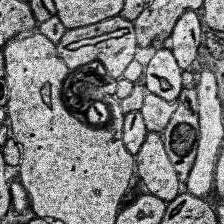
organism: Human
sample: Temporal Lobe